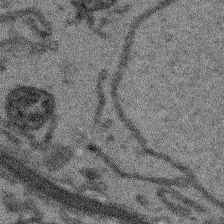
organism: Arabidopsis thaliana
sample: Root tip